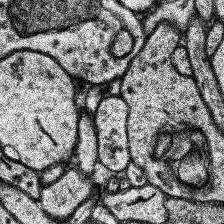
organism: Human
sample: Temporal Lobe